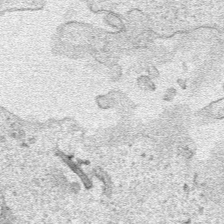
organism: Human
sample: Mitochondria in HCT116 cells